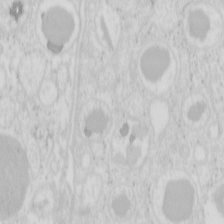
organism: Mouse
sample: Pancreas